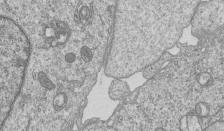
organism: Human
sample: MDA-MB-231 cells